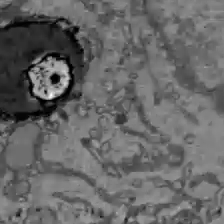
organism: C57BL Mouse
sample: Liver